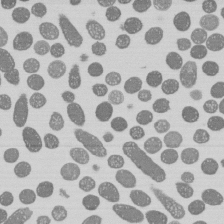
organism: E. coli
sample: Bacterial nucleoid